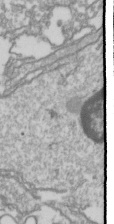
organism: Drosophila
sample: Cell division; meiosis; drosophila spermatocytes